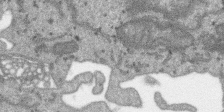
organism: Human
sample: Lung epithelial cells infected with SARS-CoV-2